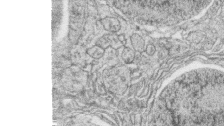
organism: Zebrafish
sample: synaptic ribbons in rod cells and cone cells